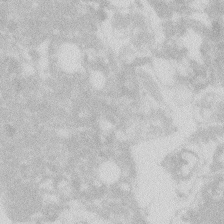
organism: Zebrafish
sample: Macrophage